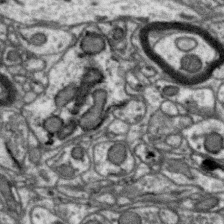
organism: Zebra finch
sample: Brain